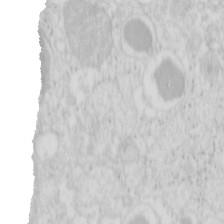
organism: Mouse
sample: Pancreas